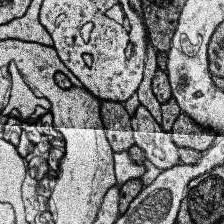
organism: Human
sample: Temporal Lobe